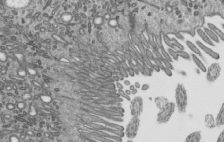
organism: Mouse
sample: Mouse epididymis efferent ductule cilia